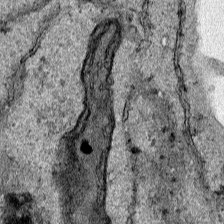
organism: Human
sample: Mitochondria in HCT116 cells